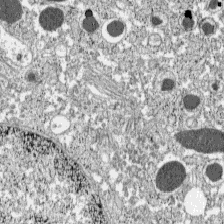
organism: C57BL Mouse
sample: Pancreatic islet